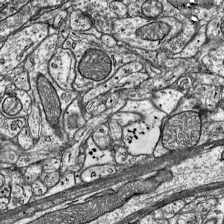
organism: Mouse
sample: Visual Cortex